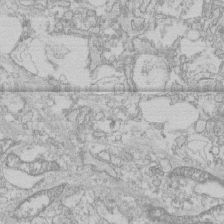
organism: Human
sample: CRL-1474